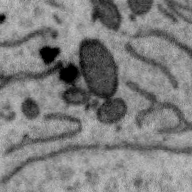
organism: Zebra finch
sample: Brain